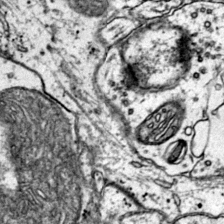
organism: Mouse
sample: Primary visual cortex